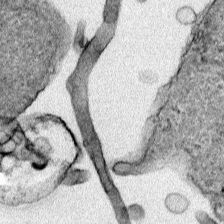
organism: Human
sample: Mitochondria in HCT116 cells